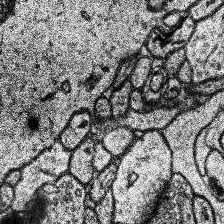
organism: Human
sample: Temporal Lobe